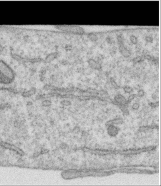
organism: Human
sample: Centriole in RPE cells